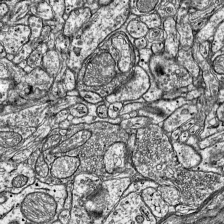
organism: Mouse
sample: Visual Cortex